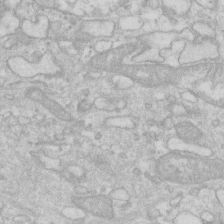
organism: Human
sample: Fibroblast cells